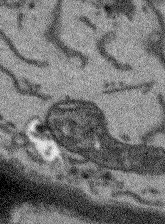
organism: Arabidopsis thaliana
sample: Root tip